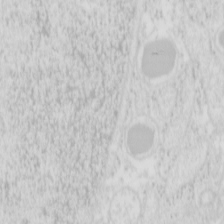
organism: Mouse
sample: Pancreas